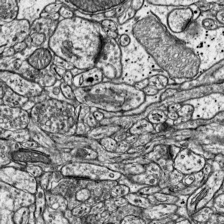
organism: Mouse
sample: Visual Cortex